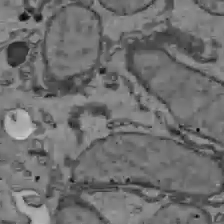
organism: C57BL Mouse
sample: Liver